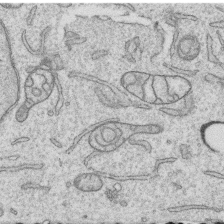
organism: Human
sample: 1205lu cells